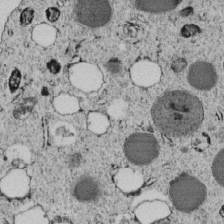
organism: C. elegans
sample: C. elegans embryo early stage